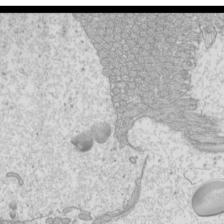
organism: Mouse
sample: Cilia; mouse epididymis